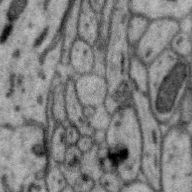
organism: Zebra finch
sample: Brain